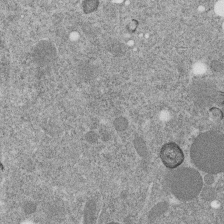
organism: C. elegans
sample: C. elegans embryo early stage